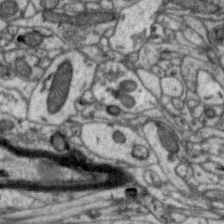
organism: Zebra finch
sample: Brain